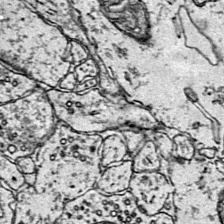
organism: Mouse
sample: Primary visual cortex